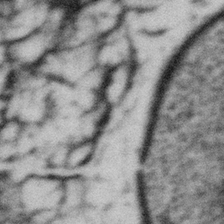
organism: Gemmata obscuriglobus